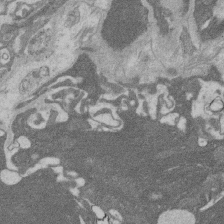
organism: Rat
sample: Salivary granule